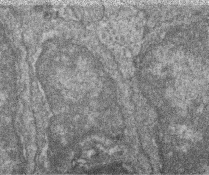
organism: Zebrafish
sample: Cilia; retinal pigment epithelium